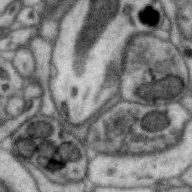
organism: Zebra finch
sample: Brain